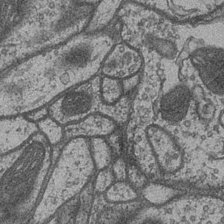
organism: Drosophila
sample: Optic medulla